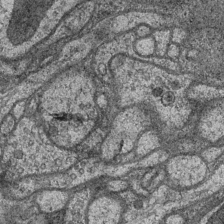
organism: Drosophila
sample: Optic medulla